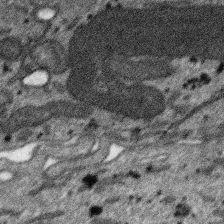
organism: Human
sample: Lung epithelial cells infected with SARS-CoV-2